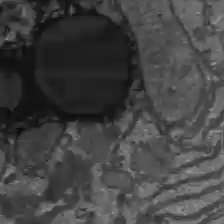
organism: C57BL Mouse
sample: Liver